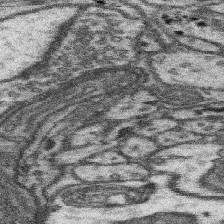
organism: Mouse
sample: Somatosensory cortex neuropil